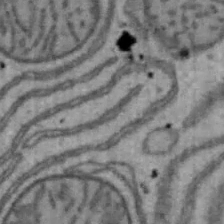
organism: Mouse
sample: Liver